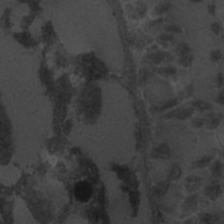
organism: C. elegans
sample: C. elegans embryo